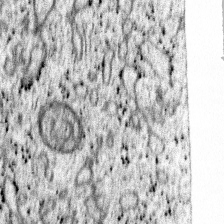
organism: Human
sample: HeLa cells